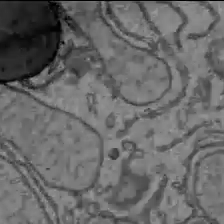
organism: C57BL Mouse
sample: Liver